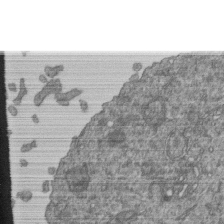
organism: Human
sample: Retinal organoid Rod and Cone cells